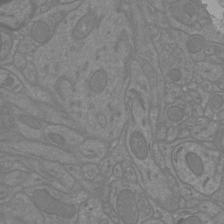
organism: Mouse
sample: Cortical neurons